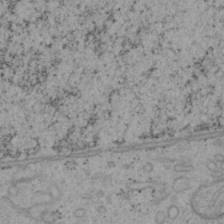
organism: Human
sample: HeLa cells